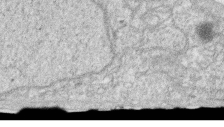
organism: Human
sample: HeLa cell HIV synapse